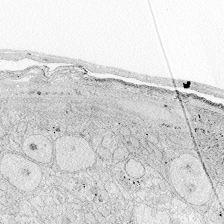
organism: Zebrafish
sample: Whole-Brain